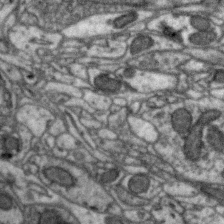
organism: Zebra finch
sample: Brain